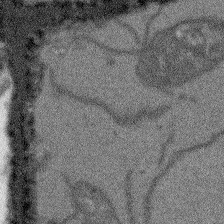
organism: Arabidopsis thaliana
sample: Root tip